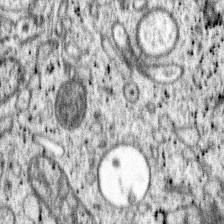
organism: Human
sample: HeLa cells